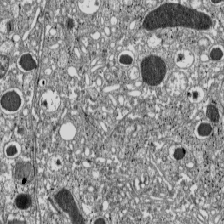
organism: C57BL Mouse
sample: Pancreatic islet